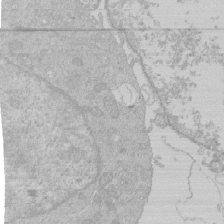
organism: Human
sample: Macrophage cells